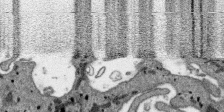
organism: Human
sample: Lung epithelial cells, uninfected (mock) control